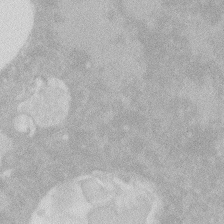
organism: Zebrafish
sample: Macrophage